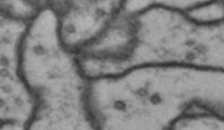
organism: Drosophila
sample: Brain